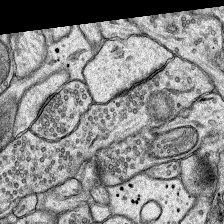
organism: Rat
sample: Hippocampus